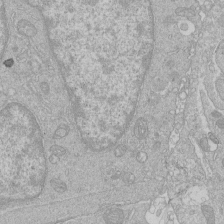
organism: Human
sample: Macrophage cells